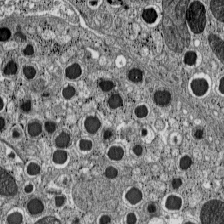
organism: C57BL Mouse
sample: Pancreatic islet